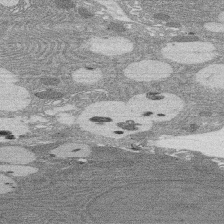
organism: Rat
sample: Salivary granule